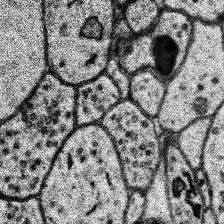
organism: Human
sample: Temporal Lobe